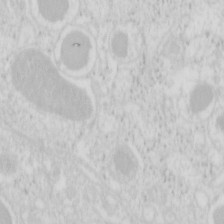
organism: Mouse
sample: Pancreas